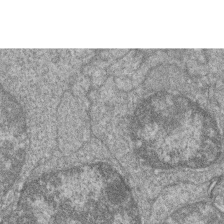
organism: Zebrafish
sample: Cilia; retinal pigment epithelium